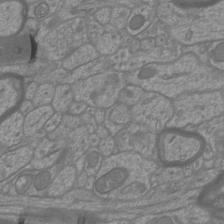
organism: Mouse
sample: Cortical neurons